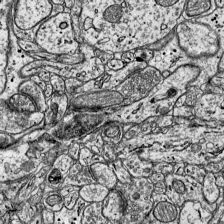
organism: Mouse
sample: Visual Cortex